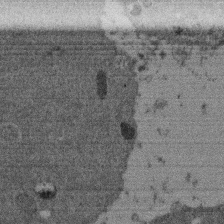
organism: Mouse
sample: Dividing mouse embryo 1 cell stage